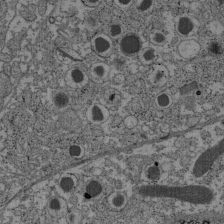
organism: C57BL Mouse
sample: Pancreatic islet